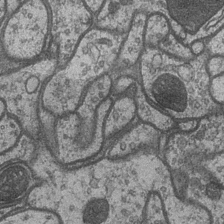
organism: Drosophila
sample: Optic medulla